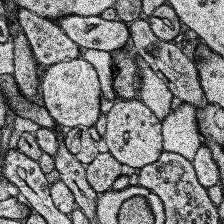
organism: Human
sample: Temporal Lobe